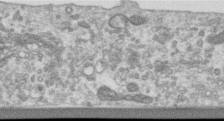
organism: Human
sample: Centriole in RPE cells